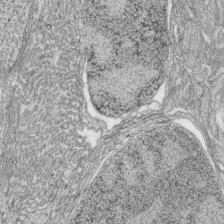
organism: Zebrafish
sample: synaptic ribbons in rod cells and cone cells